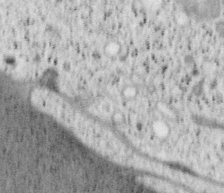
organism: Mouse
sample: OT-I killer T cells with ID8 ovarian cancer cells